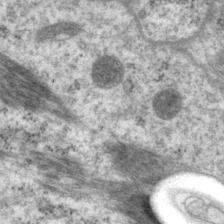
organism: P. pacificus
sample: Pharynx